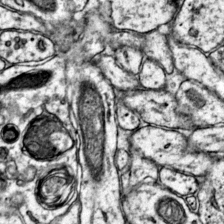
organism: Mouse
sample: Primary visual cortex